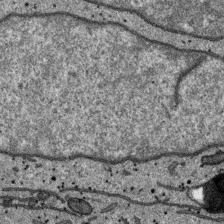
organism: Human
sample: Lung epithelial cells, uninfected (mock) control